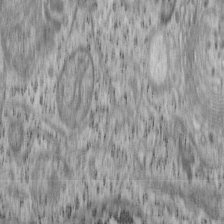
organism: Human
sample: HeLa cells